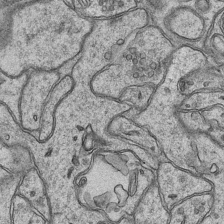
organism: Mouse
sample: CA1 Hippocampus